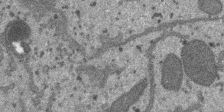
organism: Human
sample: Lung epithelial cells infected with SARS-CoV-2